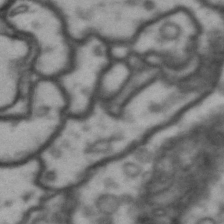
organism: Drosophila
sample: Brain